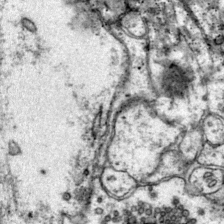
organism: Mouse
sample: Primary visual cortex